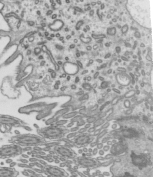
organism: Mouse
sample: Mouse epididymis efferent ductule cilia